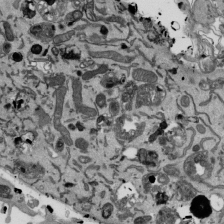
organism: Mouse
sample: ED-1 cell nuclei; centrioles